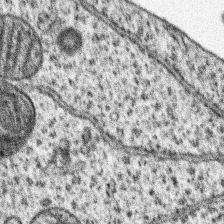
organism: Human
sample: HeLa cells